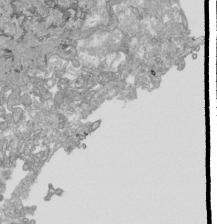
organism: Human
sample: Mitochondria in HCT116 cells